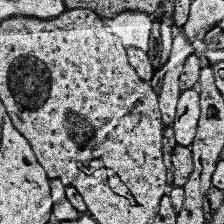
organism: Human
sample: Temporal Lobe